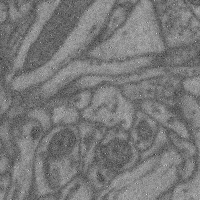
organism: Mouse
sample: Cerebral cortex